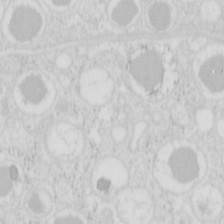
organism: Mouse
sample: Pancreas